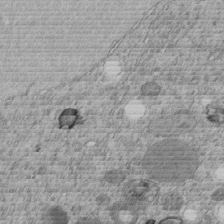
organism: C. elegans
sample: C. elegans embryo early stage